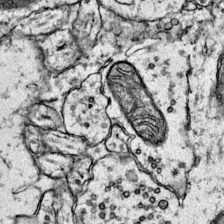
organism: Mouse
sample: Primary visual cortex